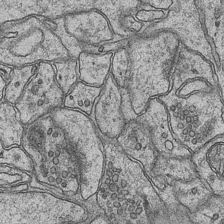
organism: Mouse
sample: CA1 Hippocampus